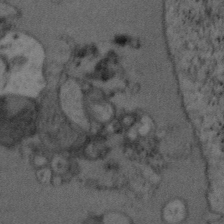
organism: Human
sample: HeLa cells